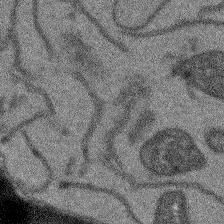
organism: Arabidopsis thaliana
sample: Root tip